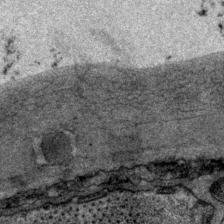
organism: P. pacificus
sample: Pharynx